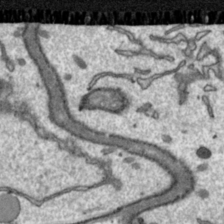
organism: Toxoplasma gondii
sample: Parasites in a vacuole inside a host cell